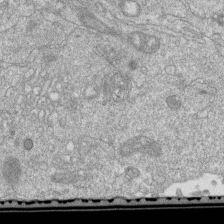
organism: Human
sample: HeLa cell HIV synapse